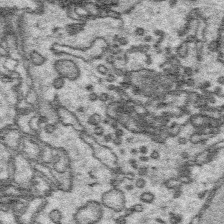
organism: Platynereis dumerilii